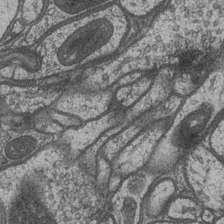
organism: Drosophila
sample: Optic medulla